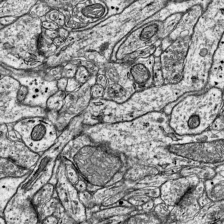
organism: Mouse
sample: Visual Cortex